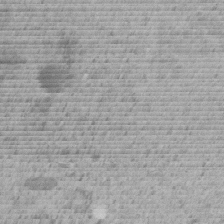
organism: C. elegans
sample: C. elegans embryo early stage